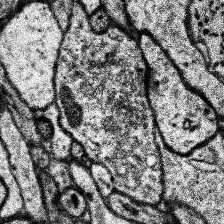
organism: Human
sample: Temporal Lobe